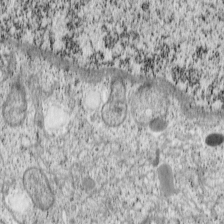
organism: African green monkey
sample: COS-7 cells